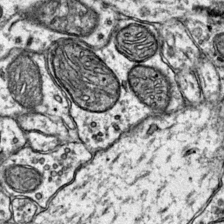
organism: Mouse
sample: Primary visual cortex